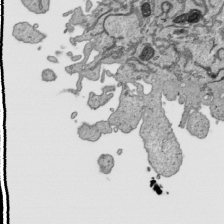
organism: Human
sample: Mitochondria in HCT116 cells